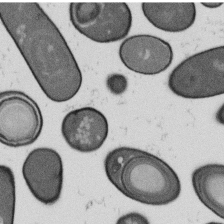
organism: B. subtilis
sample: Bacterial spore